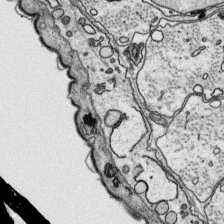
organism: Platynereis dumerilii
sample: Parapodia